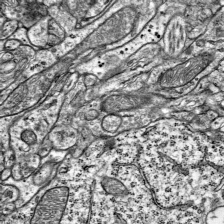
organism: Mouse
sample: Visual Cortex